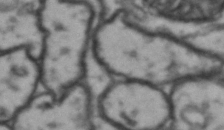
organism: Drosophila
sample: Brain